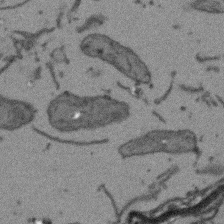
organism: Arabidopsis thaliana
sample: Root tip